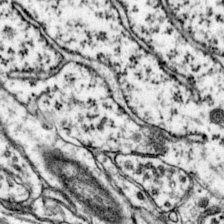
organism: Mouse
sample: Primary visual cortex